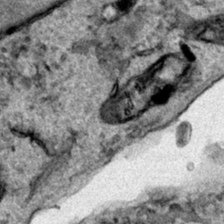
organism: Human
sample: Mitochondria in HCT116 cells